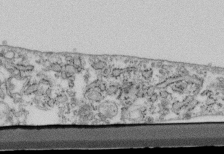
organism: Mouse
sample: Cilia; retinal pigment epithelium